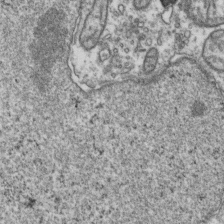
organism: Human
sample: Activated Jurkat CD4+ T cells